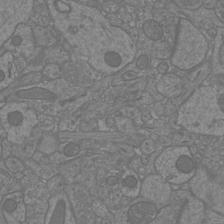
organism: Mouse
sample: Cortical neurons